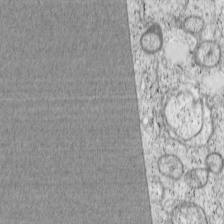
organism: African green monkey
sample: COS-7 cells